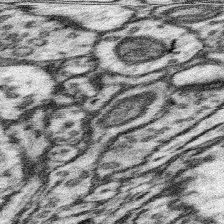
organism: Mouse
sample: Somatosensory cortex neuropil